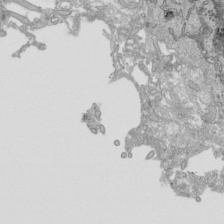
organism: Human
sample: Mitochondria in HCT116 cells